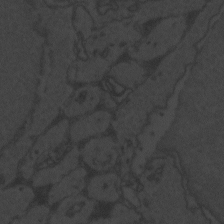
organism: Zebrafish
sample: Macrophage infected with Toxoplasma gondii